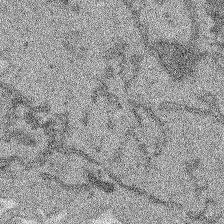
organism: Human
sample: HeLa cells